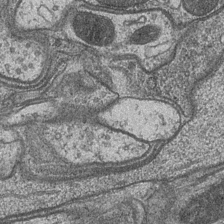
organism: Drosophila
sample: Optic medulla